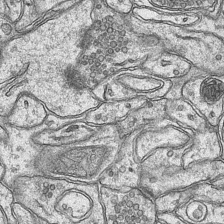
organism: Mouse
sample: CA1 Hippocampus